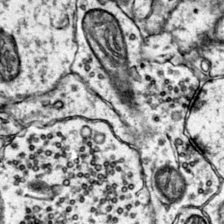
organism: Mouse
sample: Primary visual cortex